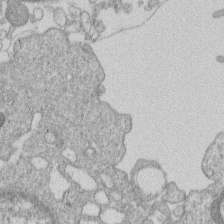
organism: Human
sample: Macrophage cells